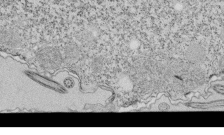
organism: Tetrahymena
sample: Cilia in tetrahymena